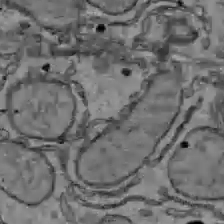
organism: C57BL Mouse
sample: Liver